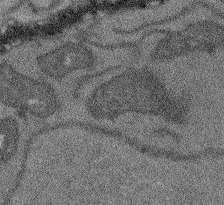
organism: Arabidopsis thaliana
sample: Root tip